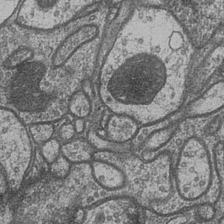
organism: Drosophila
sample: Optic medulla